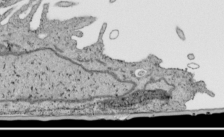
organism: Human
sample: Mitochondria in HCT116 cells